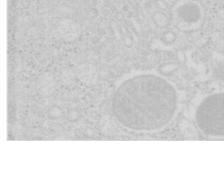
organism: Mouse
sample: Pancreas